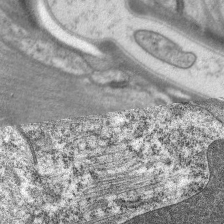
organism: C. elegans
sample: Pharynx